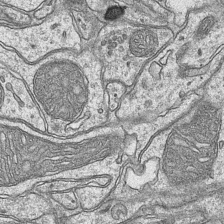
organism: Mouse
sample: CA1 Hippocampus